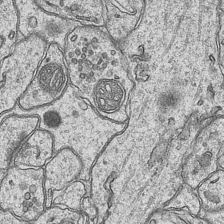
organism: Mouse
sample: CA1 Hippocampus